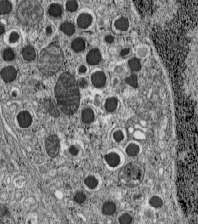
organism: C57BL Mouse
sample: Pancreatic islet